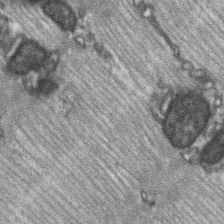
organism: C57BL Mouse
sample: Soleus